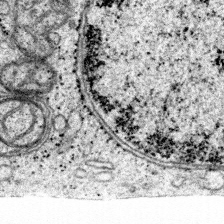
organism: Human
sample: HeLa cells